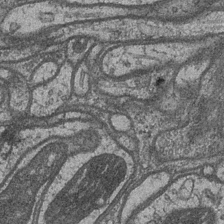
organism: Drosophila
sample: Optic medulla